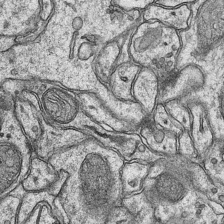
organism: Mouse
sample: CA1 Hippocampus